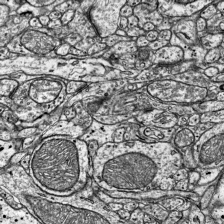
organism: Mouse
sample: Visual Cortex